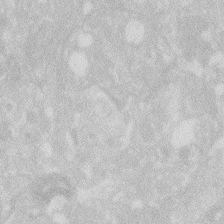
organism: Zebrafish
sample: Macrophage